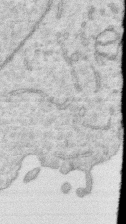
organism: Human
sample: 1205lu cells